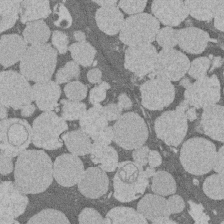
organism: Rat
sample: Salivary granule